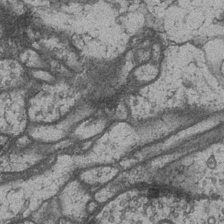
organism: Drosophila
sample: Optic medulla